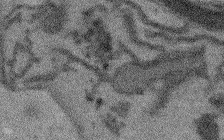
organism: Arabidopsis thaliana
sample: Root tip